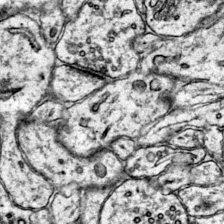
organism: Mouse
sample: Primary visual cortex